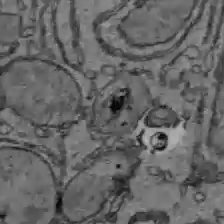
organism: C57BL Mouse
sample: Liver